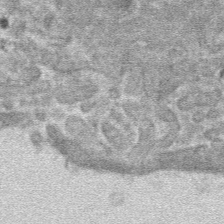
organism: Mouse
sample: Mouse hepatocytes